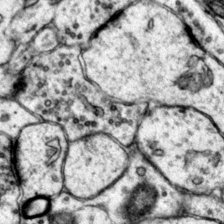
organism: Mouse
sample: Primary visual cortex